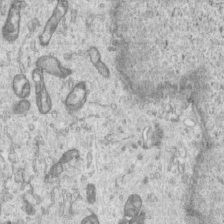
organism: Human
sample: Centriole in RPE cells